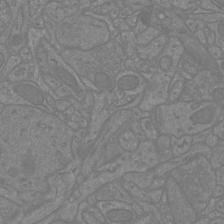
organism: Mouse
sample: Cortical neurons